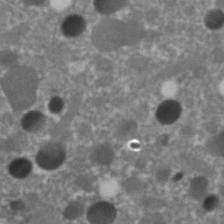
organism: C. elegans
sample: C. elegans embryo